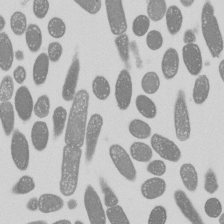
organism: E. coli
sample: Bacterial nucleoid